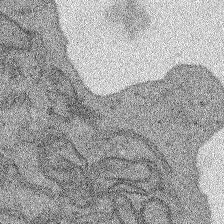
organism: Human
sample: HeLa cells